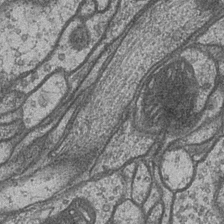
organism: Drosophila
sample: Optic medulla